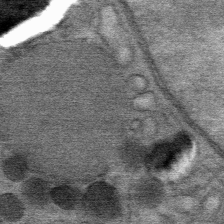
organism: Mouse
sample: Mouse Salivary gland